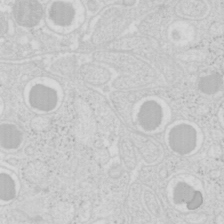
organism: Mouse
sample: Pancreas